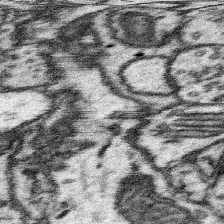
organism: Mouse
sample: Somatosensory cortex neuropil